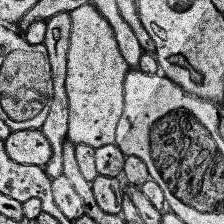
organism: Human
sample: Temporal Lobe